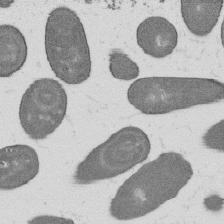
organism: B. subtilis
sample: Bacterial spore